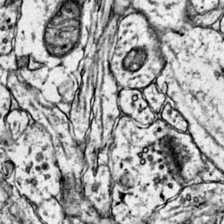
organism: Mouse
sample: Primary visual cortex